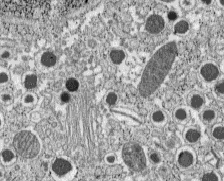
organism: C57BL Mouse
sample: Pancreatic islet